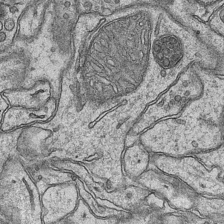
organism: Mouse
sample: CA1 Hippocampus